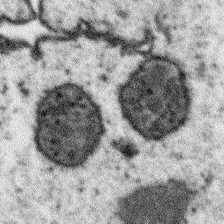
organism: Arabidopsis thaliana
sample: Root tip